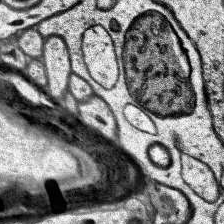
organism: Human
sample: Temporal Lobe